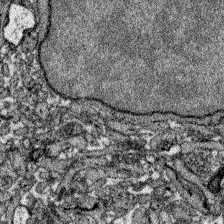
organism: Zebrafish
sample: Larval olfactory bulb